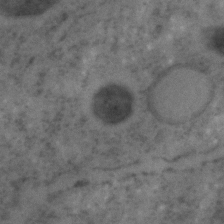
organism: C. elegans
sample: C. elegans embryo